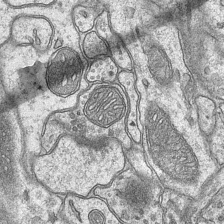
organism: Mouse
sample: CA1 Hippocampus